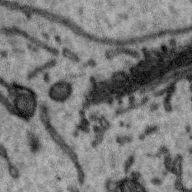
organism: Zebra finch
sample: Brain